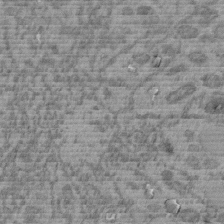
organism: C. elegans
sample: C. elegans embryo early stage